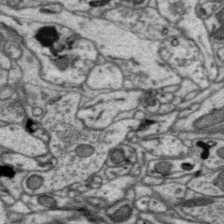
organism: Zebra finch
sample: Brain